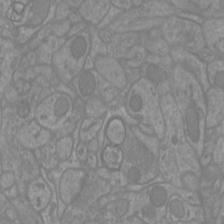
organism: Mouse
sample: Cortical neurons